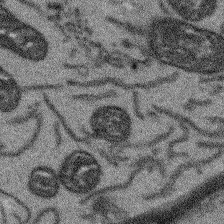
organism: Arabidopsis thaliana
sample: Root tip